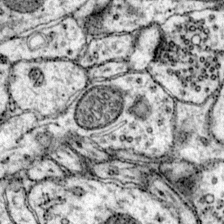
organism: Mouse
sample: Primary visual cortex